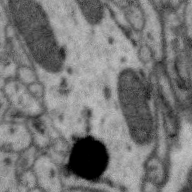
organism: Zebra finch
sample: Brain